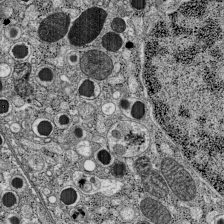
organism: C57BL Mouse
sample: Pancreatic islet